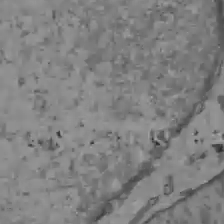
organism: C57BL Mouse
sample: Liver